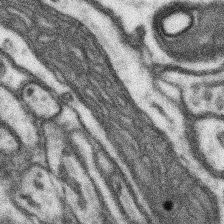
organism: Mouse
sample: Somatosensory cortex neuropil